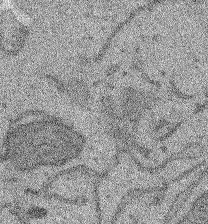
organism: Human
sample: HeLa cells